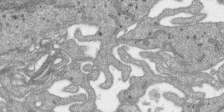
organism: Human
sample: Lung epithelial cells infected with SARS-CoV-2